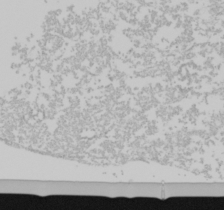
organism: Mouse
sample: Cancer cell death in ED-1 cells